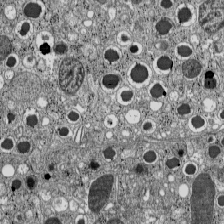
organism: C57BL Mouse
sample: Pancreatic islet